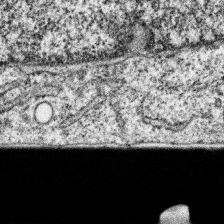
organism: Human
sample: HeLa cells